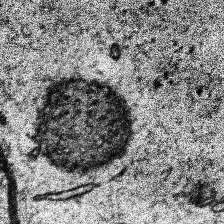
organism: Human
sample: Temporal Lobe